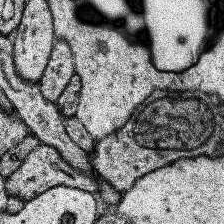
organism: Human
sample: Temporal Lobe